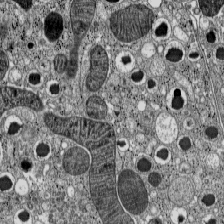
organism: C57BL Mouse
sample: Pancreatic islet